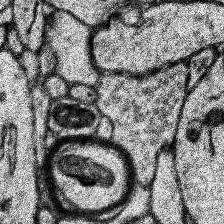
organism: Human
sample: Temporal Lobe